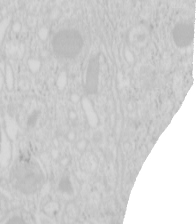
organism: Mouse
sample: Pancreas